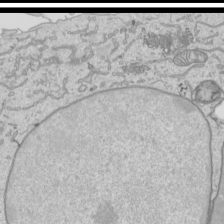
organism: Human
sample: Mitochondria in HCT116 cells